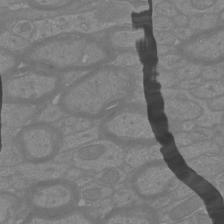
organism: Mouse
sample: Cortical neurons